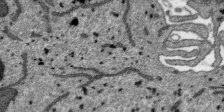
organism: Human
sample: Lung epithelial cells, uninfected (mock) control